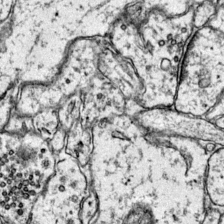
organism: Mouse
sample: Primary visual cortex